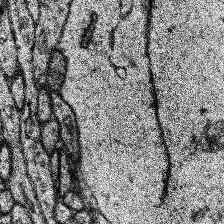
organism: Human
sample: Temporal Lobe